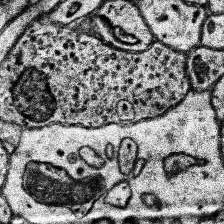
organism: Human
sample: Temporal Lobe